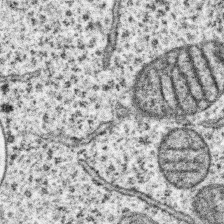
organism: Human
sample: HeLa cells